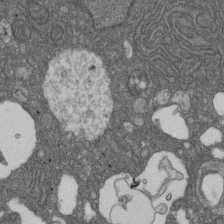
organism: Drosophila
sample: Nephrocyte